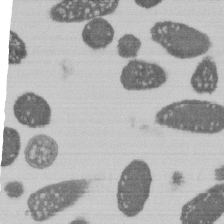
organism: E. coli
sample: Bacterial nucleoid